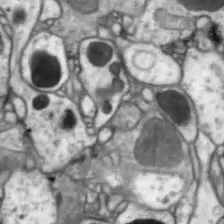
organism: Drosophila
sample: Optic lobe